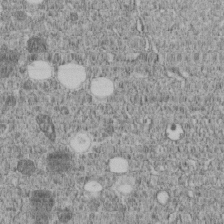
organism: C. elegans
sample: C. elegans embryo early stage